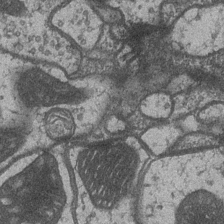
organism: Drosophila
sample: Optic medulla